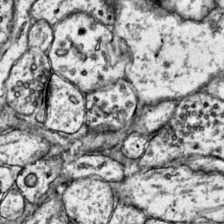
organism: Mouse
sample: Primary visual cortex